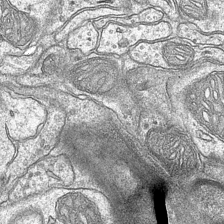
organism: Mouse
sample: CA1 Hippocampus